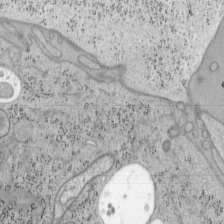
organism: Mouse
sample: OT-I killer T cells with ID8 ovarian cancer cells